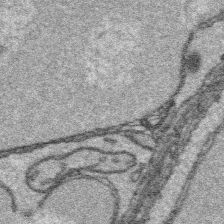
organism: Platynereis dumerilii